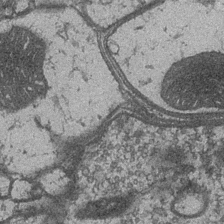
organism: Drosophila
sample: Optic medulla